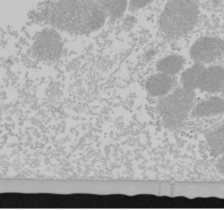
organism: Mouse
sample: Cancer cell death in ED-1 cells